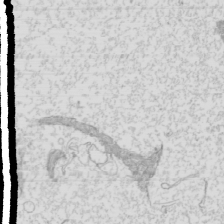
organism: Mouse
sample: Cilia; mouse epididymis